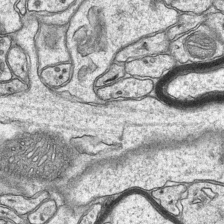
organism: Mouse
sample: CA1 Hippocampus